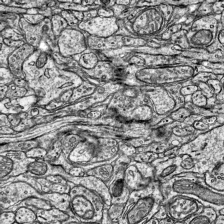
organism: Mouse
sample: Visual Cortex